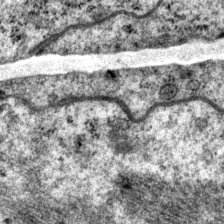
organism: P. pacificus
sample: Pharynx